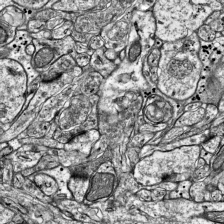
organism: Mouse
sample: Visual Cortex